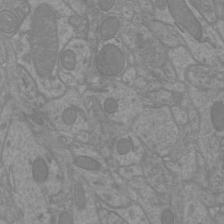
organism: Mouse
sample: Cortical neurons